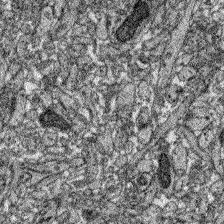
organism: Zebrafish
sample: Larval olfactory bulb